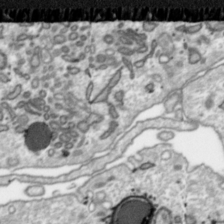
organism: Toxoplasma gondii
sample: Parasites in a vacuole inside a host cell